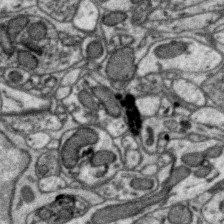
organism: Zebra finch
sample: Brain